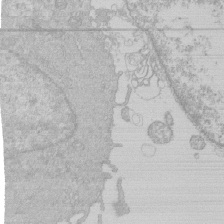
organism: Human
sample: Macrophage cells